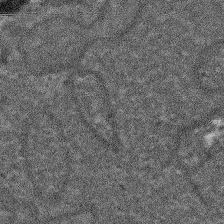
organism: Arabidopsis thaliana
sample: Root tip